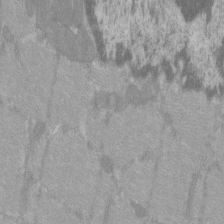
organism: C57BL Mouse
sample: Tibialis anterior muscle cell